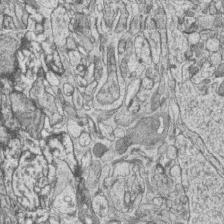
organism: Zebrafish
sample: synaptic ribbons in rod cells and cone cells